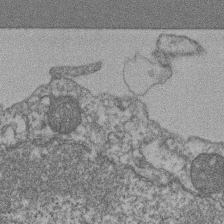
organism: Mouse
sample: T cell stromal cell synapse